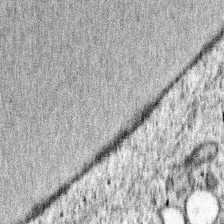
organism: Human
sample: HeLa cells